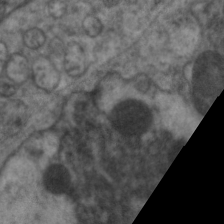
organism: C. elegans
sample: Pharynx